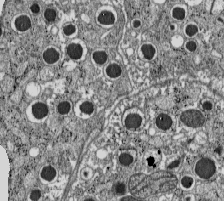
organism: C57BL Mouse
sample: Pancreatic islet